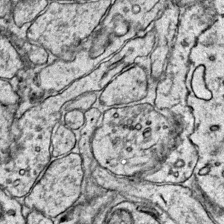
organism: Mouse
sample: Primary visual cortex